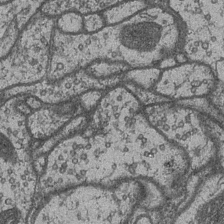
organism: Drosophila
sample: Optic medulla